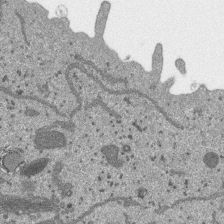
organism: Human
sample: Lung epithelial cells infected with SARS-CoV-2